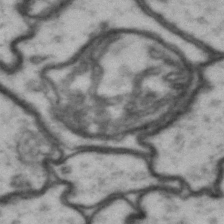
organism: Drosophila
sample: Brain